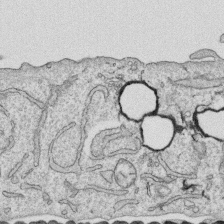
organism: Human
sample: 1205lu cells